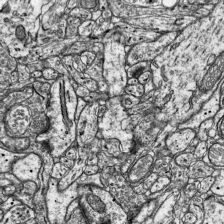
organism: Mouse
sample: Visual Cortex